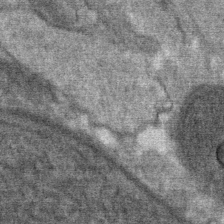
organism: Mouse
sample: Mouse Salivary gland